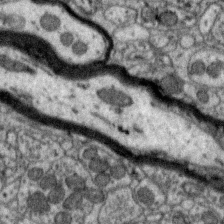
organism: Zebra finch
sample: Brain